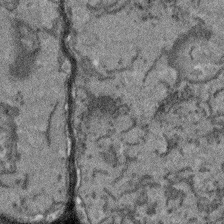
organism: Arabidopsis thaliana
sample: Root tip